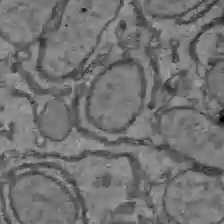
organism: C57BL Mouse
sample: Liver